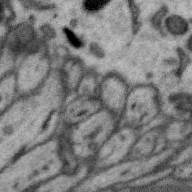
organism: Zebra finch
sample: Brain